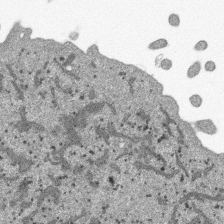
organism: Human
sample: Lung epithelial cells infected with SARS-CoV-2